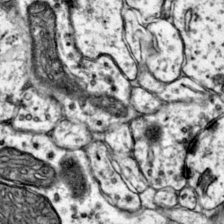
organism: Mouse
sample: Primary visual cortex